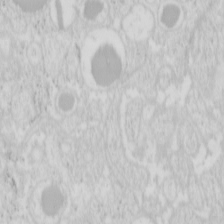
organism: Mouse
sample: Pancreas